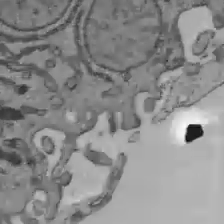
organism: C57BL Mouse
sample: Liver